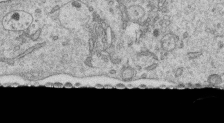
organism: Human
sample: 1205lu cells